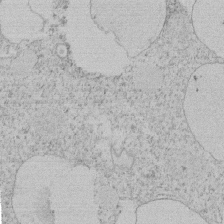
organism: Tetrahymena